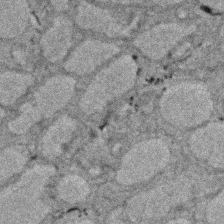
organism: Zebrafish